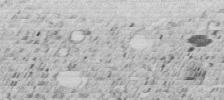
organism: C. elegans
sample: C. elegans embryo early stage